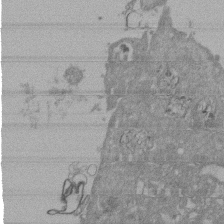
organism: Mouse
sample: ED-1 cell nuclei; centrioles